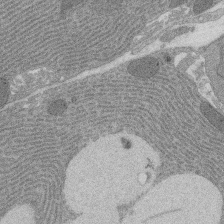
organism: Rat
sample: Salivary granule